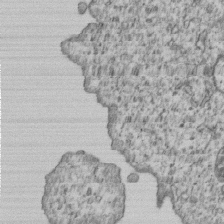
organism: Human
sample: MDA-MB-231 cells